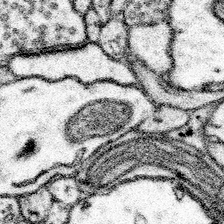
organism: Mouse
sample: Somatosensory cortex neuropil